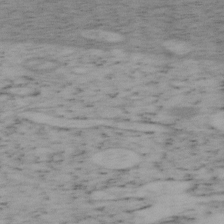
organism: Mouse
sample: OT-I killer T cells with ID8 ovarian cancer cells